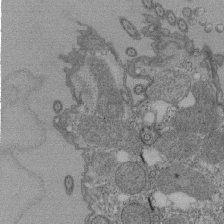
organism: Tetrahymena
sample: Cilia in tetrahymena